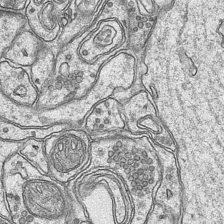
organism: Mouse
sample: CA1 Hippocampus